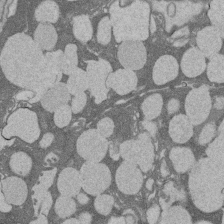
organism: Rat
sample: Salivary granule